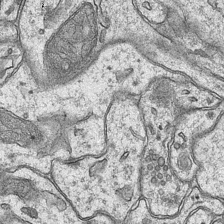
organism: Mouse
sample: CA1 Hippocampus